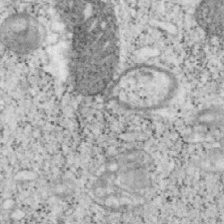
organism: Mouse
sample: OT-I killer T cells with ID8 ovarian cancer cells